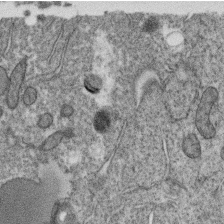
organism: C. elegans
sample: C. elegans oocyte; sperm cells